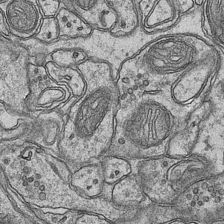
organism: Mouse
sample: CA1 Hippocampus